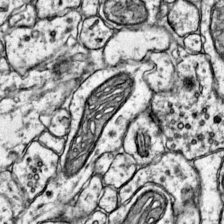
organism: Mouse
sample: Primary visual cortex